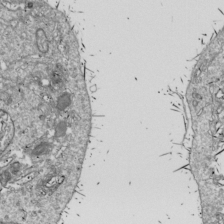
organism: Drosophila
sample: Cell division; meiosis; drosophila spermatocytes